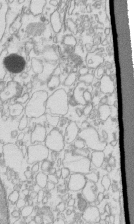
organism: Mouse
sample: Macrophages